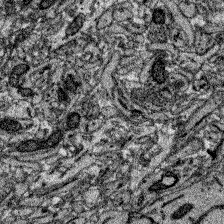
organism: Zebrafish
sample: Larval olfactory bulb